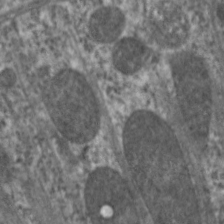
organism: C. elegans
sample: Pharynx